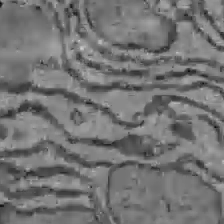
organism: C57BL Mouse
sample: Liver